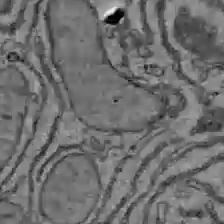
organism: C57BL Mouse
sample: Liver